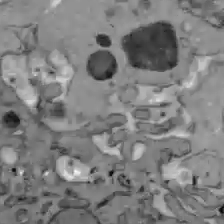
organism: C57BL Mouse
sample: Liver